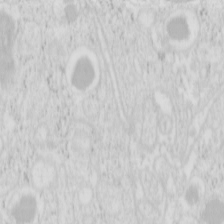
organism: Mouse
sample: Pancreas